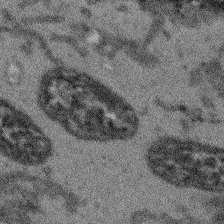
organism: Arabidopsis thaliana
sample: Root tip